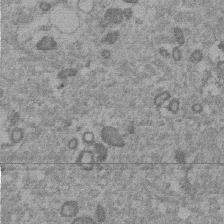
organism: Mouse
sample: Dividing mouse embryo 1 cell stage